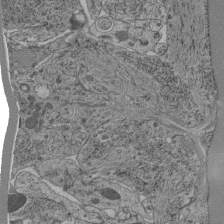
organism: C. elegans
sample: C. elegans pharynx